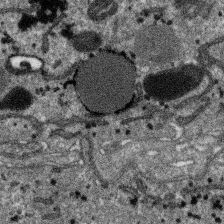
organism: Human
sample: Lung epithelial cells infected with SARS-CoV-2